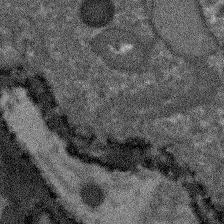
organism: Arabidopsis thaliana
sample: Root tip